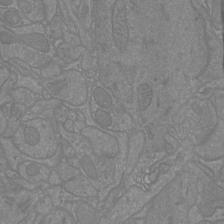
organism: Mouse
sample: Cortical neurons